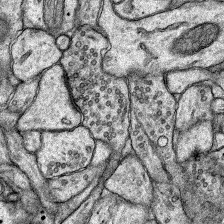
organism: Rat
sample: Hippocampus